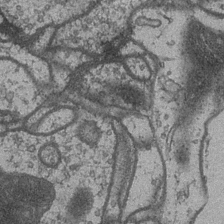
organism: Drosophila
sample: Optic medulla